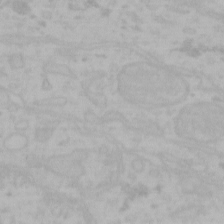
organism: Mouse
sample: Choroid plexus